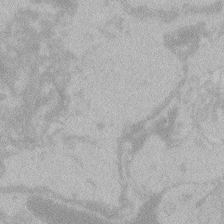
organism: Zebrafish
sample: Macrophage infected with Toxoplasma gondii